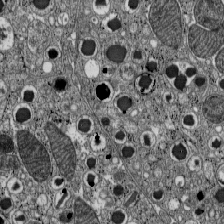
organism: C57BL Mouse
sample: Pancreatic islet